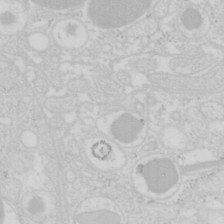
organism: Mouse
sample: Pancreas